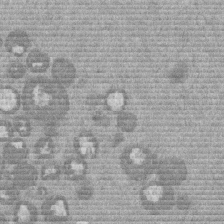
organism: Mouse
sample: Dividing mouse embryo 1 cell stage